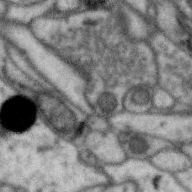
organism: Zebra finch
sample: Brain